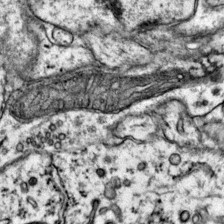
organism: Mouse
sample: Primary visual cortex